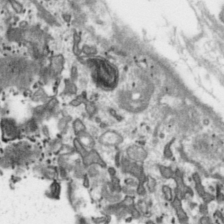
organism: Toxoplasma gondii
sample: Parasites in a vacuole inside a host cell